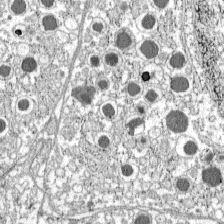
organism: C57BL Mouse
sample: Pancreatic islet